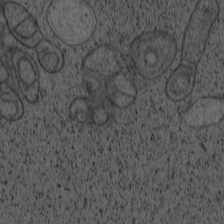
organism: African green monkey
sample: COS-7 cells